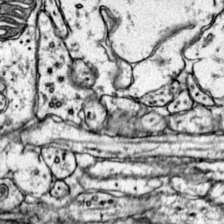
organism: Mouse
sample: Primary visual cortex